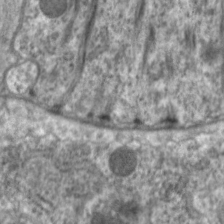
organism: C. elegans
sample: Pharynx